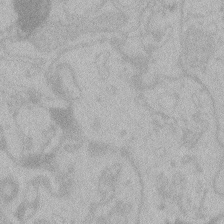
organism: Zebrafish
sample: Macrophage infected with Toxoplasma gondii